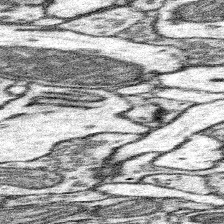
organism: Mouse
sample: Somatosensory cortex neuropil